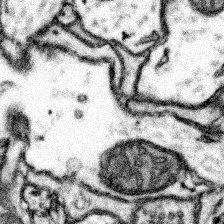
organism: Mouse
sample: Somatosensory cortex neuropil